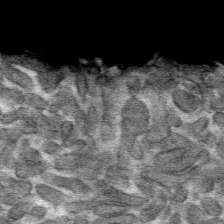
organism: Mouse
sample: Mouse hepatocytes